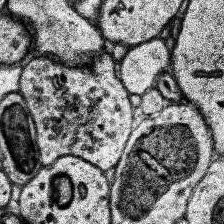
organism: Human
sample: Temporal Lobe